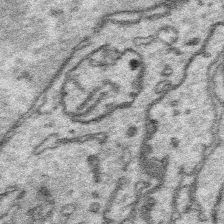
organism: Platynereis dumerilii